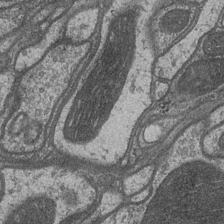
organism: Drosophila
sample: Optic medulla